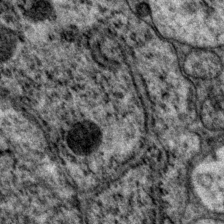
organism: P. pacificus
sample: Pharynx